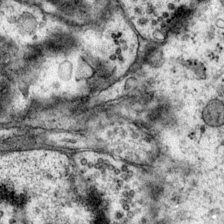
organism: Mouse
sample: Primary visual cortex